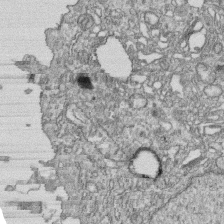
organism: Human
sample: HeLa cell HIV synapse